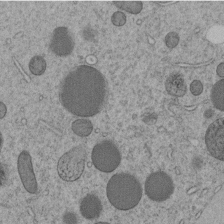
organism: C. elegans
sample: C. elegans embryo early stage